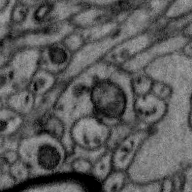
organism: Zebra finch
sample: Brain